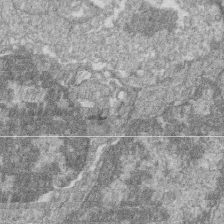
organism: Zebrafish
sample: Cilia; retinal pigment epithelium